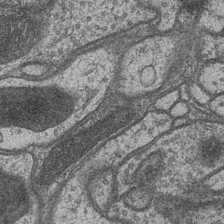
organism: Drosophila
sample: Optic medulla